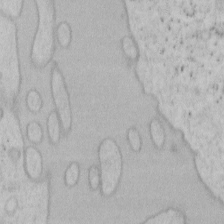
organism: Human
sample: HeLa cells